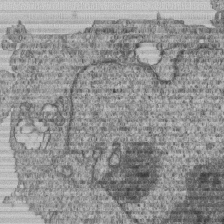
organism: Human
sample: MDA-MB-231 cells